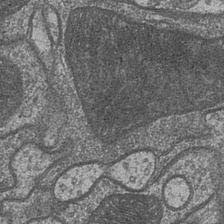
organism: Drosophila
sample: Optic medulla